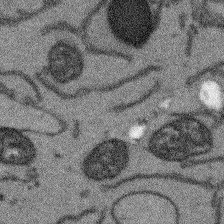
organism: Arabidopsis thaliana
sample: Root tip